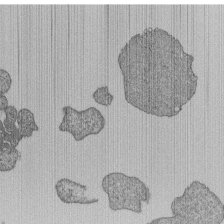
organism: Human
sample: MDA-MB-231 cells